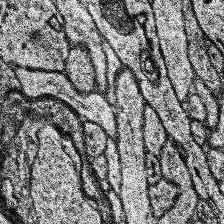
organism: Human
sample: Temporal Lobe